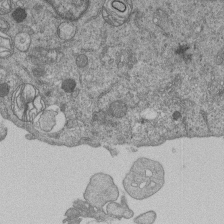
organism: Human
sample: MDA-MB-231 cells